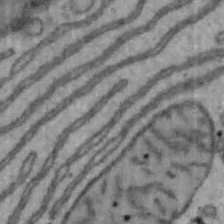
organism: Mouse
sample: Liver